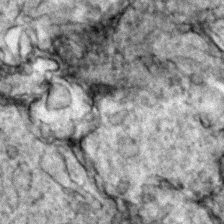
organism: Zebrafish